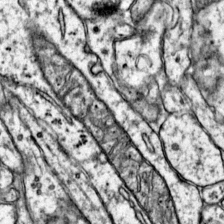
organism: Mouse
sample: Primary visual cortex